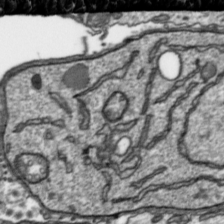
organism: Toxoplasma gondii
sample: Parasites in a vacuole inside a host cell